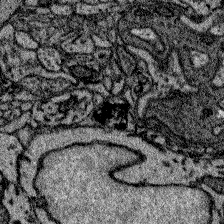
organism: Zebrafish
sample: Larval olfactory bulb